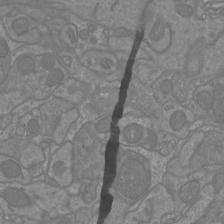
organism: Mouse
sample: Cortical neurons